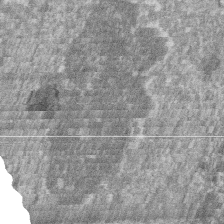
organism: Zebrafish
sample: Cilia; retinal pigment epithelium